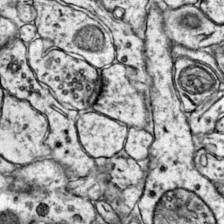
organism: Mouse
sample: Primary visual cortex